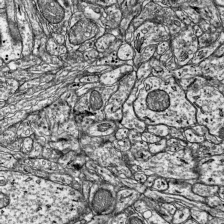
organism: Mouse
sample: Visual Cortex